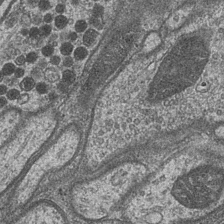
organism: Drosophila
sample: Optic medulla